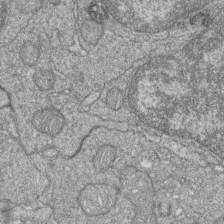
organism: Zebrafish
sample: Cilia; retinal pigment epithelium